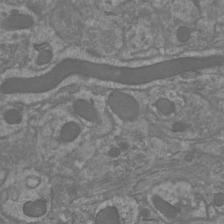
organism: Mouse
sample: Cortical neurons